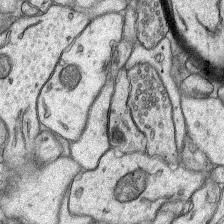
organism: Rat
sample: Hippocampus